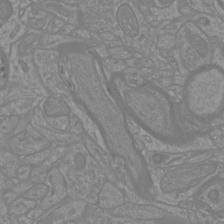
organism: Mouse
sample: Cortical neurons